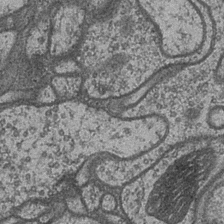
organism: Drosophila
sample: Optic medulla